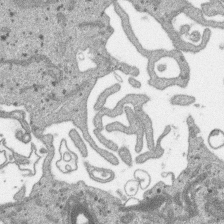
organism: Human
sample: Lung epithelial cells infected with SARS-CoV-2